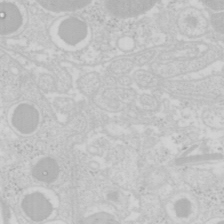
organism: Mouse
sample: Pancreas